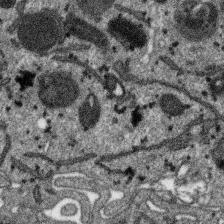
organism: Human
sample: Lung epithelial cells infected with SARS-CoV-2